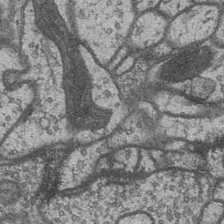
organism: Drosophila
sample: Optic medulla